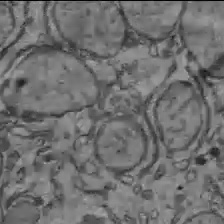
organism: C57BL Mouse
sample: Liver